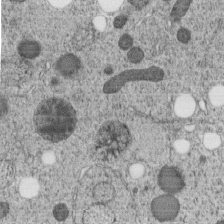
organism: C. elegans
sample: C. elegans embryo early stage